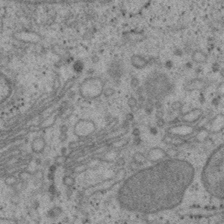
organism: Human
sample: HeLa cells